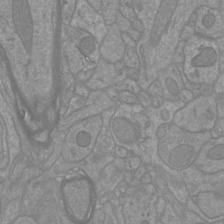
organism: Mouse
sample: Cortical neurons